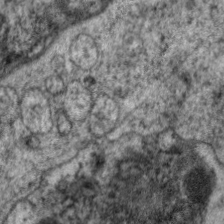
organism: C. elegans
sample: Pharynx